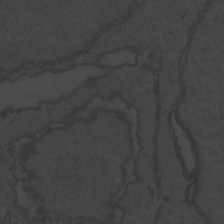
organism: Zebrafish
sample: Macrophage infected with Toxoplasma gondii